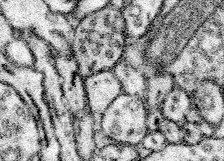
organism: Mouse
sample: Somatosensory cortex neuropil